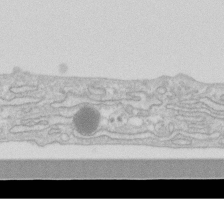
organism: Human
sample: Fibroblast cells